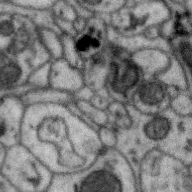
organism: Zebra finch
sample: Brain